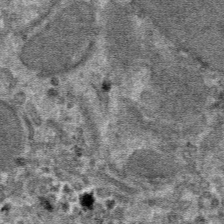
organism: Mouse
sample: Mouse hepatocytes